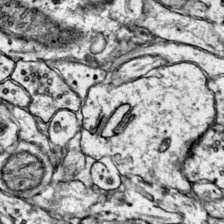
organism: Mouse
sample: Primary visual cortex